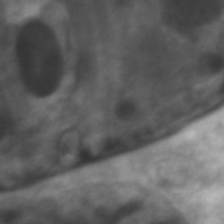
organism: C. elegans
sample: Pharynx